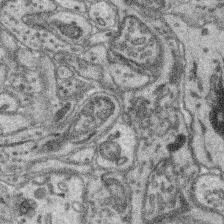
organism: Mouse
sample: Retina